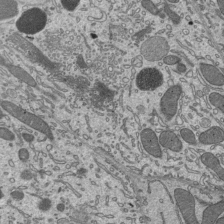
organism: Mouse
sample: Mouse epididymis efferent ductule cilia